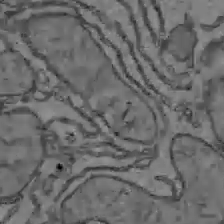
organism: C57BL Mouse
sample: Liver